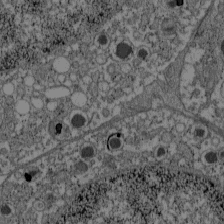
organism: C57BL Mouse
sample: Pancreatic islet